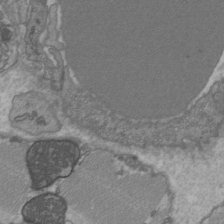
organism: C57BL Mouse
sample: Heart